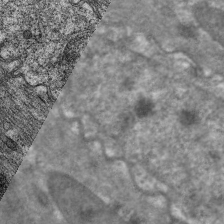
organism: C. elegans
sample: Pharynx